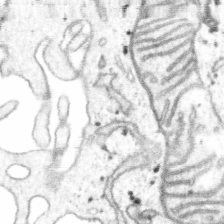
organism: Human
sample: HeLa cells